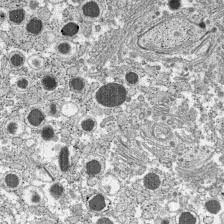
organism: C57BL Mouse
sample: Pancreatic islet